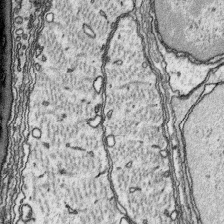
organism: Platynereis dumerilii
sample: Parapodia